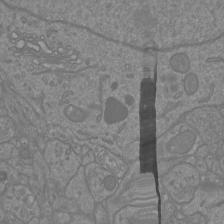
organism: Mouse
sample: Cortical neurons